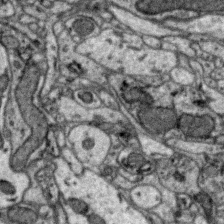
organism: Zebra finch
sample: Brain